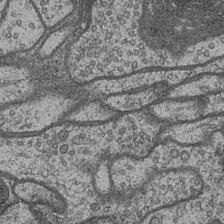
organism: Drosophila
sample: Optic medulla